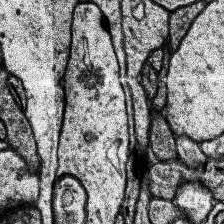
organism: Human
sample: Temporal Lobe